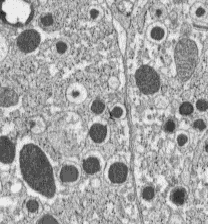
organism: C57BL Mouse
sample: Pancreatic islet